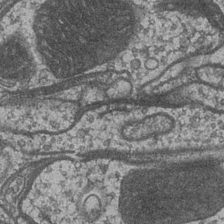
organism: Drosophila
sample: Optic medulla